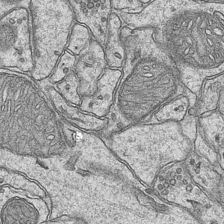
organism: Mouse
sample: CA1 Hippocampus